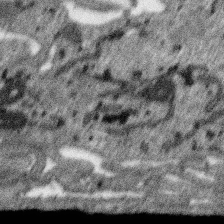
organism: Human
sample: Lung epithelial cells infected with SARS-CoV-2